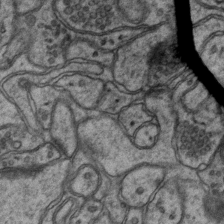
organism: Mouse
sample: CA1 Hippocampus